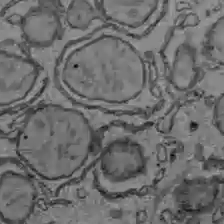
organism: C57BL Mouse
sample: Liver